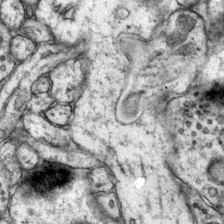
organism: Mouse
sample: Primary visual cortex